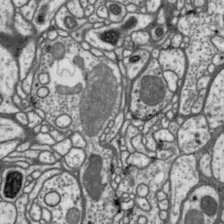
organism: Drosophila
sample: Protocerebral bridge